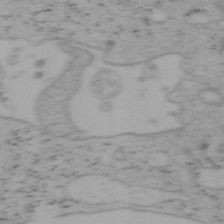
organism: Mouse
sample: OT-I killer T cells with ID8 ovarian cancer cells